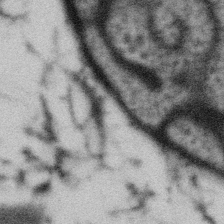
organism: Gemmata obscuriglobus